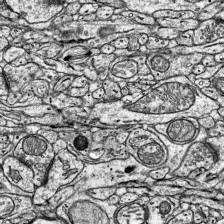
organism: Mouse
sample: Visual Cortex